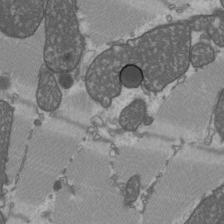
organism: C57BL Mouse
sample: Heart